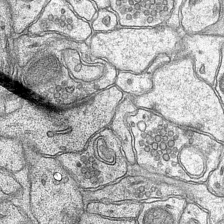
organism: Mouse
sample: CA1 Hippocampus